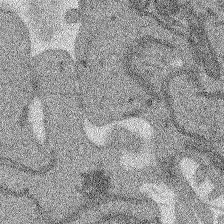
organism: Human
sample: HeLa cells